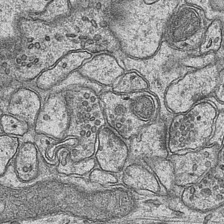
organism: Mouse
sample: CA1 Hippocampus